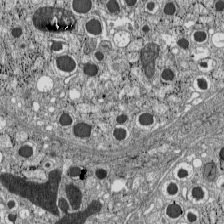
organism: C57BL Mouse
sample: Pancreatic islet